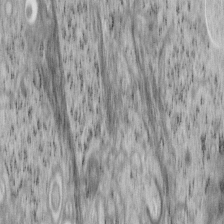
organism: Human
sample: HeLa cells